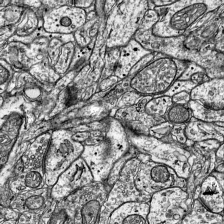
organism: Mouse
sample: Visual Cortex